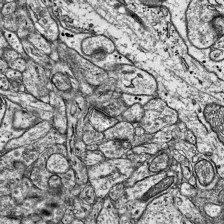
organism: Mouse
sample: Visual Cortex